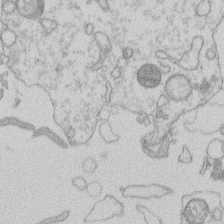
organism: Human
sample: Macrophage cells